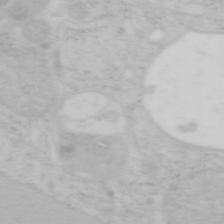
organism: Mouse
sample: OT-I killer T cells with ID8 ovarian cancer cells